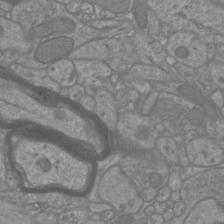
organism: Mouse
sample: Cortical neurons